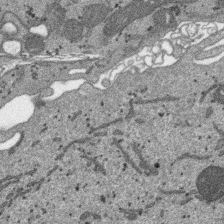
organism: Human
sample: Lung epithelial cells infected with SARS-CoV-2